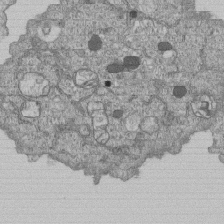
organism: Human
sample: MDA-MB-231 cells